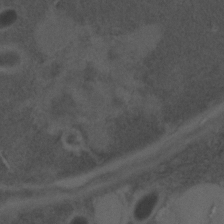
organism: C. elegans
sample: C. elegans embryo